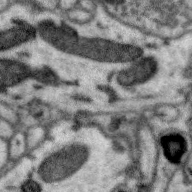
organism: Zebra finch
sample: Brain